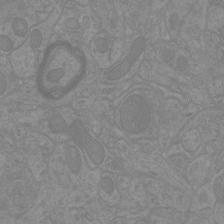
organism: Mouse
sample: Cortical neurons